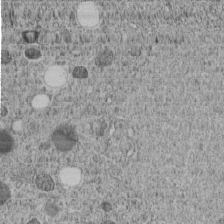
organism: C. elegans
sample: C. elegans embryo early stage